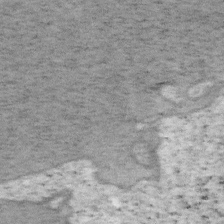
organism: Mouse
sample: OT-I killer T cells with ID8 ovarian cancer cells